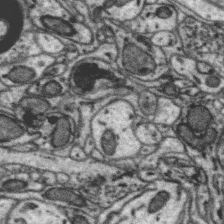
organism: Zebra finch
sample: Brain